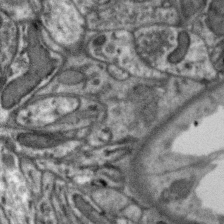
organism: Zebra finch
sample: Brain